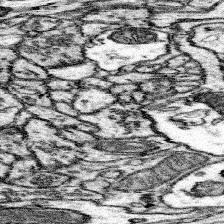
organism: Mouse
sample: Somatosensory cortex neuropil